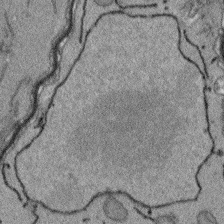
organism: Arabidopsis thaliana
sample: Root tip